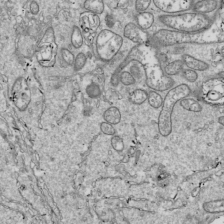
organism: Drosophila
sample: Cell division; meiosis; drosophila spermatocytes